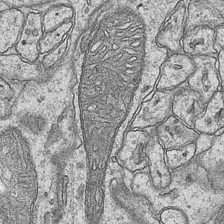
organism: Mouse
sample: CA1 Hippocampus